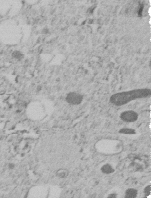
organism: C. elegans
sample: C. elegans embryo early stage